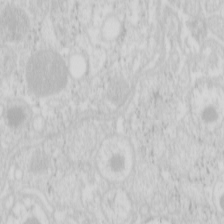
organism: Mouse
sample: Pancreas